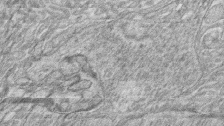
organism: Zebrafish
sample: synaptic ribbons in rod cells and cone cells